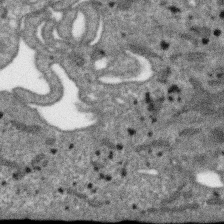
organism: Human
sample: Lung epithelial cells infected with SARS-CoV-2